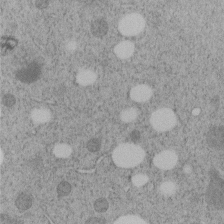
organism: C. elegans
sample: C. elegans embryo early stage